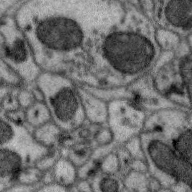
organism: Zebra finch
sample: Brain